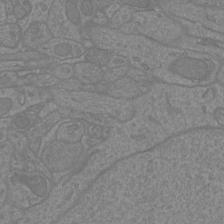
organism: Mouse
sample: Cortical neurons